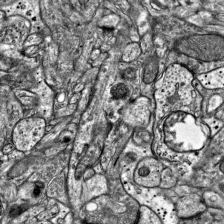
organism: Mouse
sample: Visual Cortex